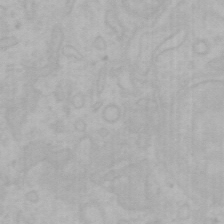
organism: Mouse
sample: Choroid plexus